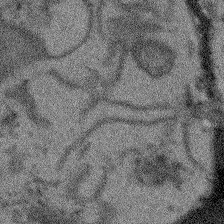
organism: Arabidopsis thaliana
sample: Root tip